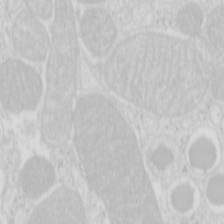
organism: Mouse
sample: Pancreas